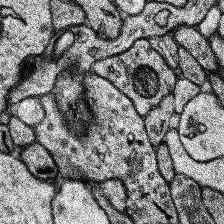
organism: Human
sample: Temporal Lobe